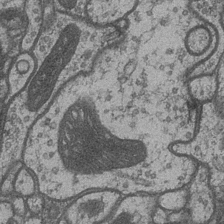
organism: Drosophila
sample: Optic medulla